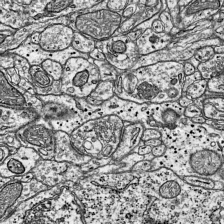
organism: Mouse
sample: Visual Cortex